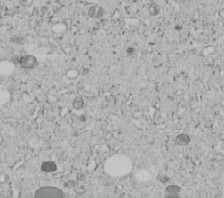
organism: C. elegans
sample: C. elegans embryo early stage